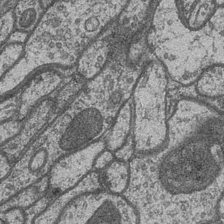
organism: Drosophila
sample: Optic medulla